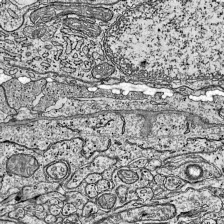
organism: Mouse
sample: Visual Cortex